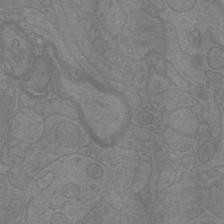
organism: Mouse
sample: Cortical neurons